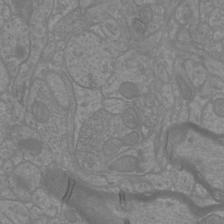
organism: Mouse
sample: Cortical neurons